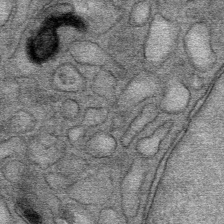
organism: Mouse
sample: Mouse Salivary gland